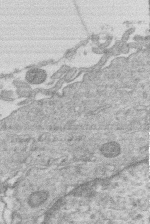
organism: Human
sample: Macrophage cells